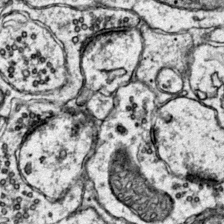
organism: Mouse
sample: Primary visual cortex